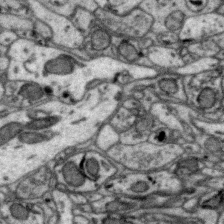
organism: Zebra finch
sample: Brain